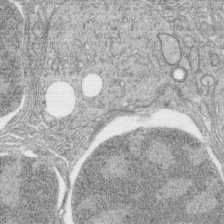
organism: Zebrafish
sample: synaptic ribbons in rod cells and cone cells